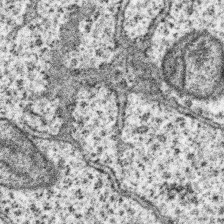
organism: Human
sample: HeLa cells